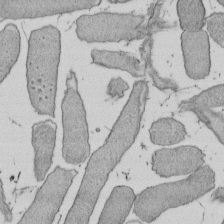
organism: E. coli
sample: Bacterial nucleoid